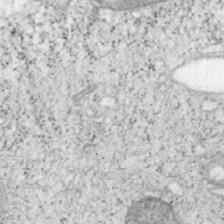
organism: Mouse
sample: OT-I killer T cells with ID8 ovarian cancer cells